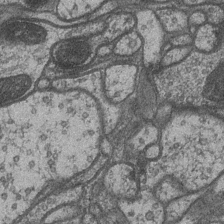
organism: Drosophila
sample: Optic medulla